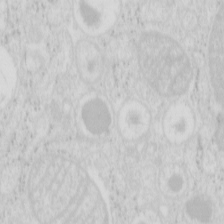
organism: Mouse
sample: Pancreas